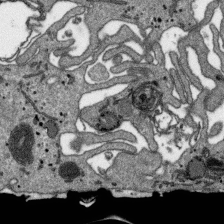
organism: Human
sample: Lung epithelial cells, uninfected (mock) control